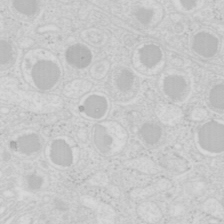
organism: Mouse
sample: Pancreas